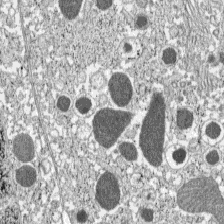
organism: C57BL Mouse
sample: Pancreatic islet